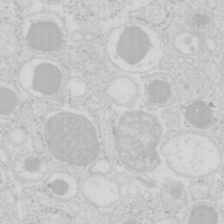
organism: Mouse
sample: Pancreas